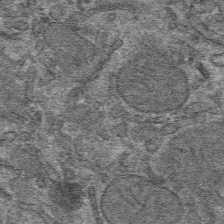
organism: Mouse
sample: Mouse hepatocytes